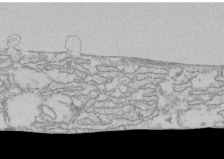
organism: Human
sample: CRL-1474